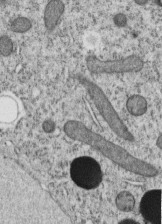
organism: C. elegans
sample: C. elegans embryo early stage